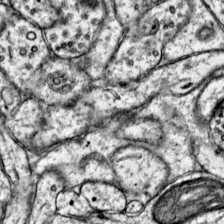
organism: Mouse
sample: Primary visual cortex